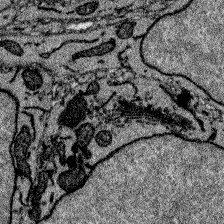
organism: Zebrafish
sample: Larval olfactory bulb